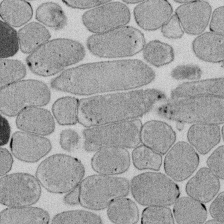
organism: E. coli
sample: Bacterial nucleoid